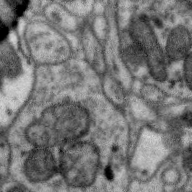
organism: Zebra finch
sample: Brain